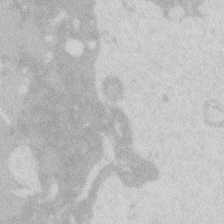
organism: Zebrafish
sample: Macrophage